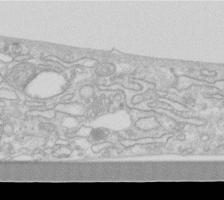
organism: Human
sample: Fibroblast cells